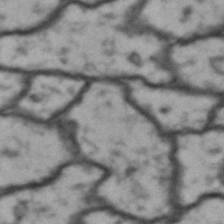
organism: Drosophila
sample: Brain